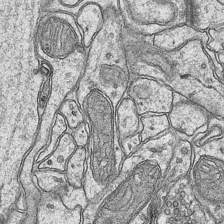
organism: Mouse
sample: CA1 Hippocampus